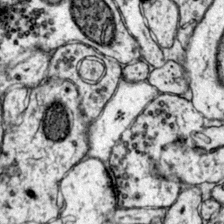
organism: Mouse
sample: Primary visual cortex